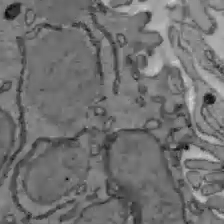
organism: C57BL Mouse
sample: Liver